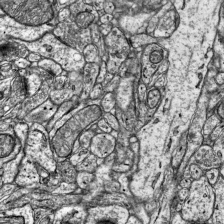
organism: Mouse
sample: Visual Cortex